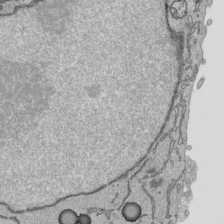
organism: Human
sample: Mitochondria in HCT116 cells